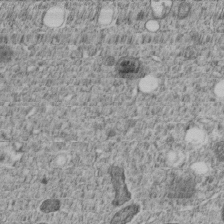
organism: C. elegans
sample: C. elegans embryo early stage